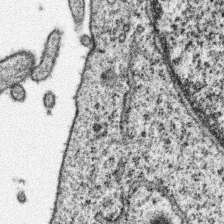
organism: Human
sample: HeLa cells